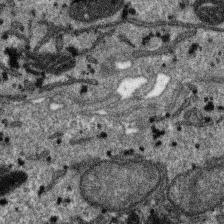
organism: Human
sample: Lung epithelial cells infected with SARS-CoV-2